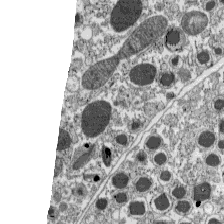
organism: C57BL Mouse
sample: Pancreatic islet